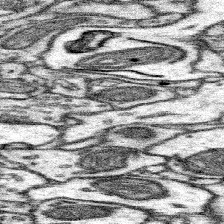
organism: Mouse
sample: Somatosensory cortex neuropil